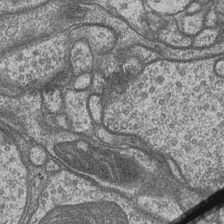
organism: Drosophila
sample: Optic medulla